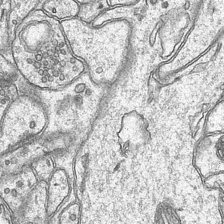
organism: Mouse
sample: CA1 Hippocampus